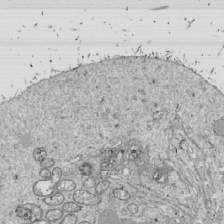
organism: Drosophila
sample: Cell division; meiosis; drosophila spermatocytes